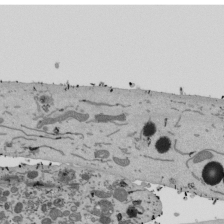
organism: Mouse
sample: ED-1 cell nuclei; centrioles